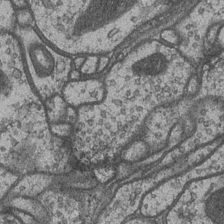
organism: Drosophila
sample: Optic medulla